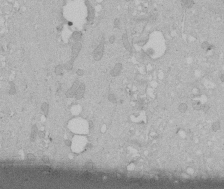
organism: Human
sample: Melanocyte Keratinocyte synapse skin construct